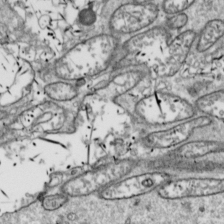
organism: Drosophila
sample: Cell division; meiosis; drosophila spermatocytes